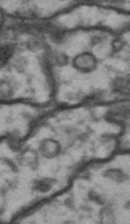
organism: Drosophila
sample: Brain